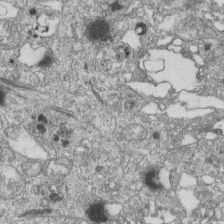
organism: Human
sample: HeLa cell HIV synapse